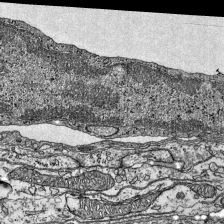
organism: Mouse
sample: Visual Cortex